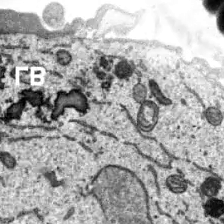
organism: Human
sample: HeLa cells